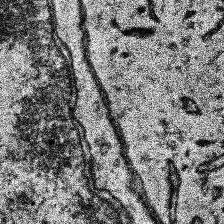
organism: Human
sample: Temporal Lobe